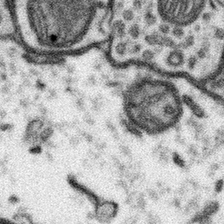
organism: Mouse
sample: Somatosensory cortex neuropil